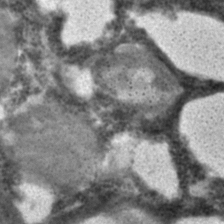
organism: C. elegans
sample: C. elegans embryo